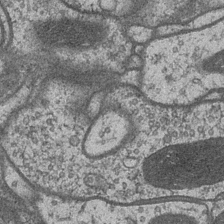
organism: Drosophila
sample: Optic medulla